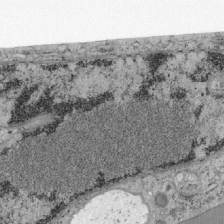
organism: Human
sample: HeLa cells